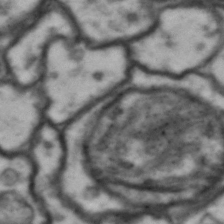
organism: Drosophila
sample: Brain